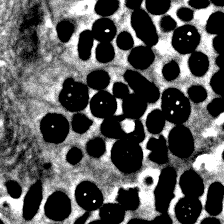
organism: Zebrafish